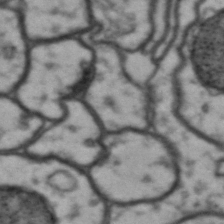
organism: Drosophila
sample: Brain